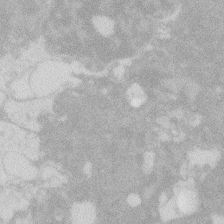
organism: Zebrafish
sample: Macrophage